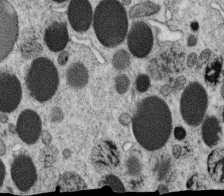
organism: C. elegans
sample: C. elegans oocyte; sperm cells